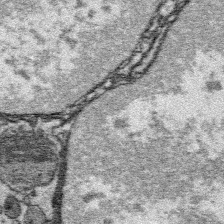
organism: Platynereis dumerilii